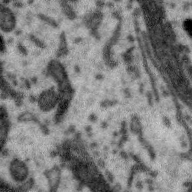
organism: Zebra finch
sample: Brain